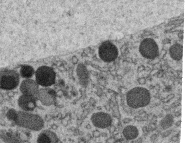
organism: C. elegans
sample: C. elegans oocyte; sperm cells